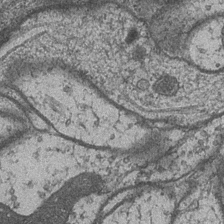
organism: Drosophila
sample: Optic medulla